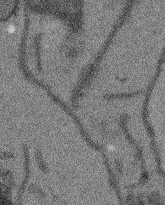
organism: Arabidopsis thaliana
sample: Root tip